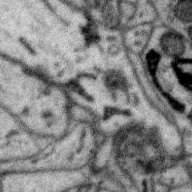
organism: Zebra finch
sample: Brain